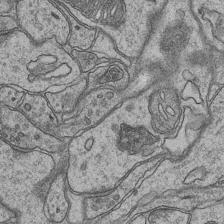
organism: Mouse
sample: CA1 Hippocampus